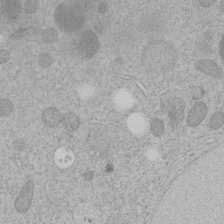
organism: C. elegans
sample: C. elegans embryo early stage